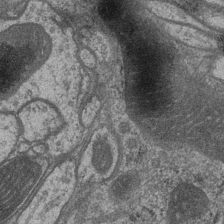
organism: Drosophila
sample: Optic medulla